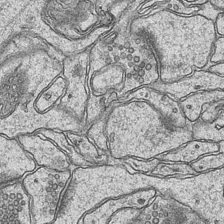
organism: Mouse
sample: CA1 Hippocampus